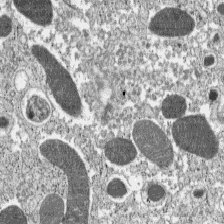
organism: C57BL Mouse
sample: Pancreatic islet